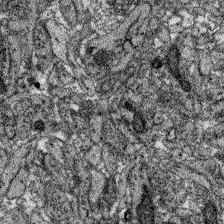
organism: Zebrafish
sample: Larval olfactory bulb